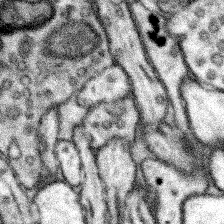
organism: Mouse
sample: Somatosensory cortex neuropil